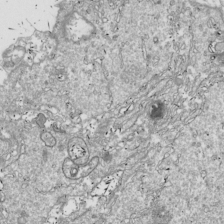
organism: Drosophila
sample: Cell division; meiosis; drosophila spermatocytes